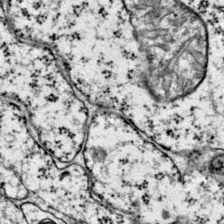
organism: Mouse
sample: Primary visual cortex